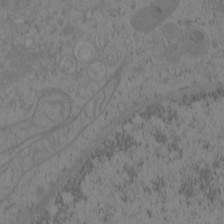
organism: Human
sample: HeLa cells